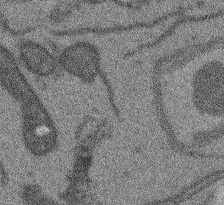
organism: Arabidopsis thaliana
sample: Root tip